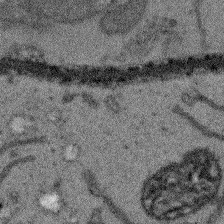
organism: Arabidopsis thaliana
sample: Root tip